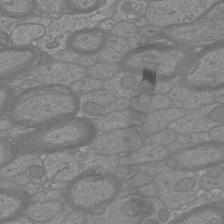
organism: Mouse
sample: Cortical neurons